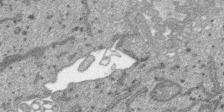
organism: Human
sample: Lung epithelial cells infected with SARS-CoV-2